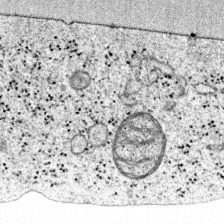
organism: Human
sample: HeLa cells